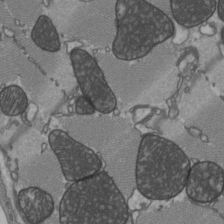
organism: C57BL Mouse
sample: Heart